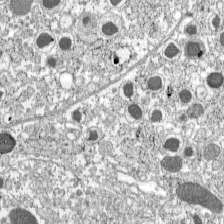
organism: C57BL Mouse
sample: Pancreatic islet